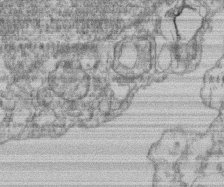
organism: Mouse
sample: T cell stromal cell synapse